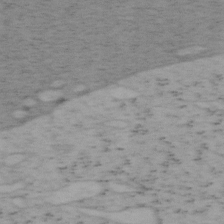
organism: Mouse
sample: OT-I killer T cells with ID8 ovarian cancer cells